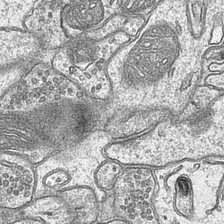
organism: Mouse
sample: CA1 Hippocampus